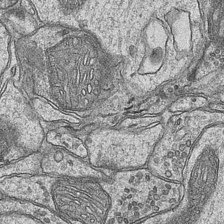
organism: Mouse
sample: CA1 Hippocampus